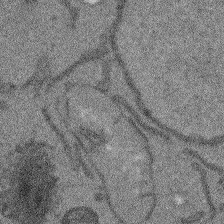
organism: Arabidopsis thaliana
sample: Root tip